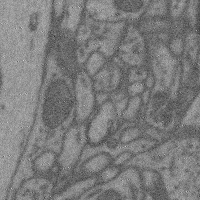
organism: Mouse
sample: Cerebral cortex